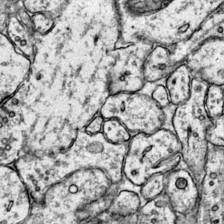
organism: Mouse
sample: Primary visual cortex